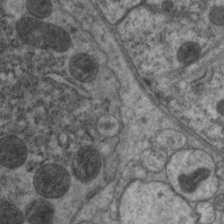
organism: C. elegans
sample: Pharynx